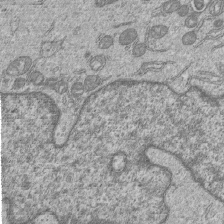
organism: Human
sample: MDA-MB-231 cells